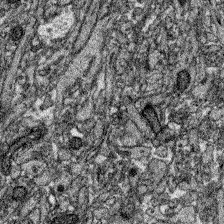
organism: Zebrafish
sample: Larval olfactory bulb